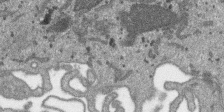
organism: Human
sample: Lung epithelial cells infected with SARS-CoV-2